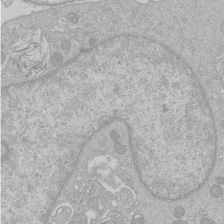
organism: Human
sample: Macrophage cells